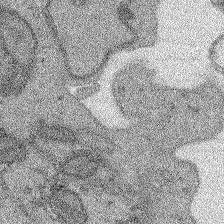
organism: Human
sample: HeLa cells